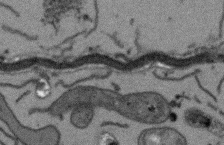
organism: Arabidopsis thaliana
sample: Root tip